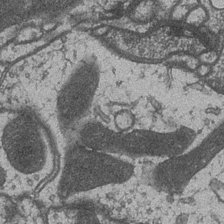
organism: Drosophila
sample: Optic medulla